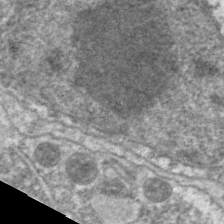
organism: C. elegans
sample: Pharynx